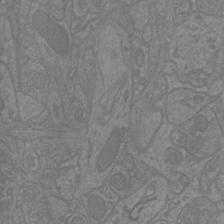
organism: Mouse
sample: Cortical neurons